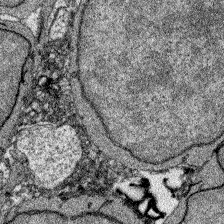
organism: Zebrafish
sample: Larval olfactory bulb